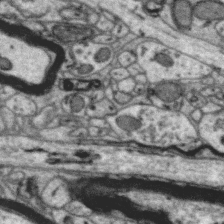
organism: Zebra finch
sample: Brain